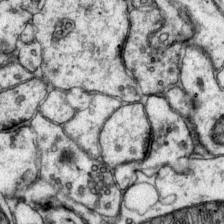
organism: Mouse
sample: Primary visual cortex